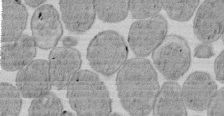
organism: E. coli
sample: Bacterial nucleoid